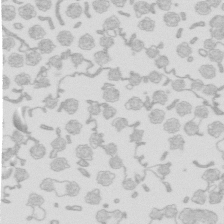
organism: Mouse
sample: Multiciliated cells